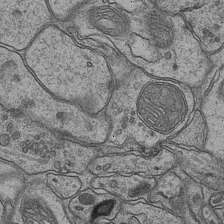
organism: Mouse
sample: CA1 Hippocampus